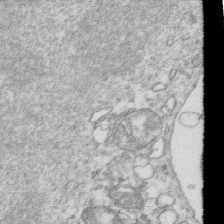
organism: Mouse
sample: Activated OT-1 CD8+ T cells